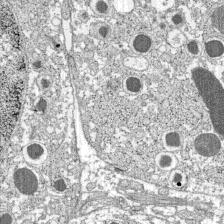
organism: C57BL Mouse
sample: Pancreatic islet